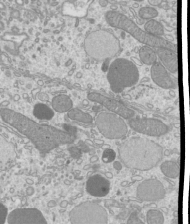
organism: Mouse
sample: Cilia; mouse epididymis